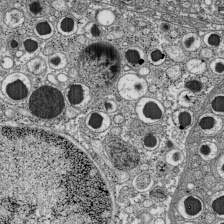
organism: C57BL Mouse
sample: Pancreatic islet